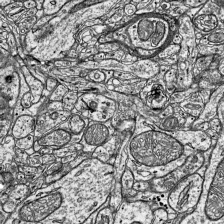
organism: Mouse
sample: Visual Cortex